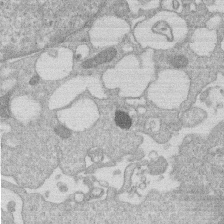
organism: Human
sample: Macrophage cells